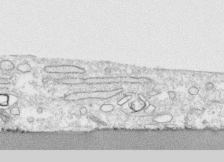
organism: Human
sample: CRL-1474